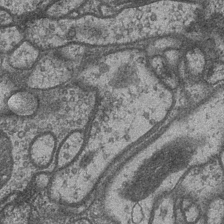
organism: Drosophila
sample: Optic medulla